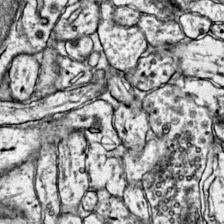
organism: Mouse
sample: Primary visual cortex